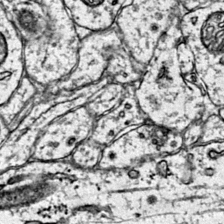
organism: Mouse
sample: Primary visual cortex